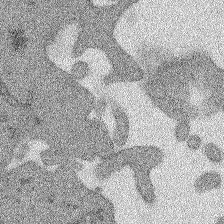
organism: Human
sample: HeLa cells